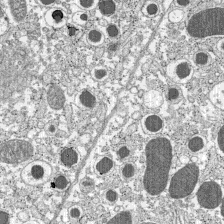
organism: C57BL Mouse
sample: Pancreatic islet